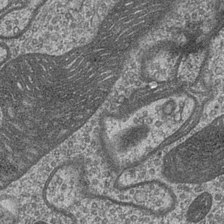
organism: Drosophila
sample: Optic medulla